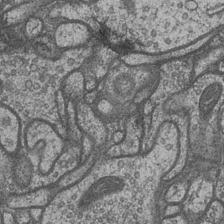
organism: Drosophila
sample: Optic medulla